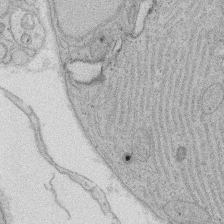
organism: Rat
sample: Salivary granule